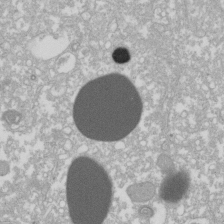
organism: Xenopus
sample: Cilia; centrioles in frog embryo cells